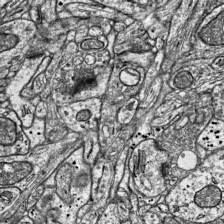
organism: Mouse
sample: Visual Cortex